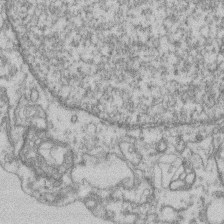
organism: Mouse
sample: T cell stromal cell synapse